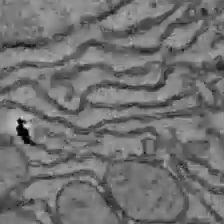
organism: C57BL Mouse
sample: Liver